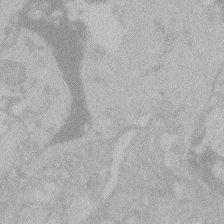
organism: Zebrafish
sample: Macrophage infected with Toxoplasma gondii